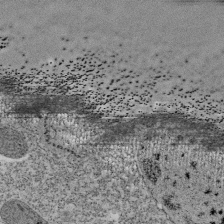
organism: Tetrahymena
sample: Cilia in tetrahymena